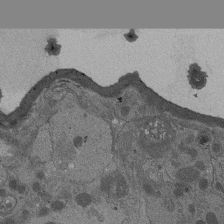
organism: Drosophila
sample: Antenna